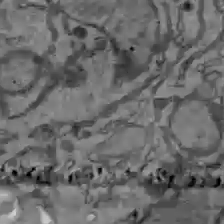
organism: C57BL Mouse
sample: Liver